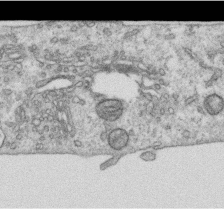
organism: Human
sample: Centriole in RPE cells